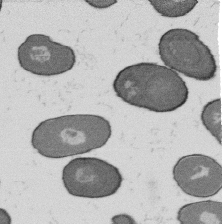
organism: B. subtilis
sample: Bacterial spore